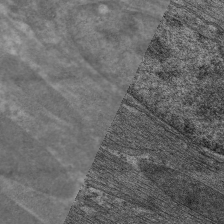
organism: C. elegans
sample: Pharynx